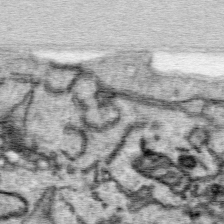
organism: Human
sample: HeLa cells